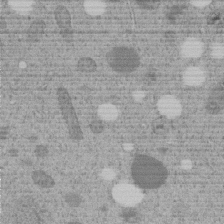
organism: C. elegans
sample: C. elegans embryo early stage